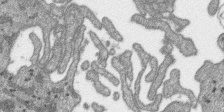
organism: Human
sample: Lung epithelial cells infected with SARS-CoV-2